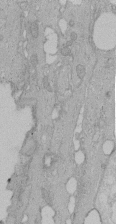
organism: Human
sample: Melanocyte Keratinocyte synapse skin construct